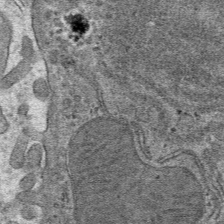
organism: Mouse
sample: Mouse hepatocytes